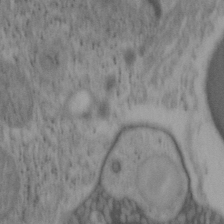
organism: Mouse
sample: OT-I killer T cells with ID8 ovarian cancer cells